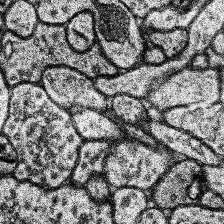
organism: Human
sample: Temporal Lobe